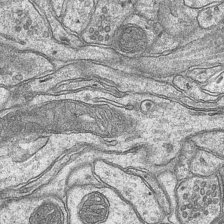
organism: Mouse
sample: CA1 Hippocampus